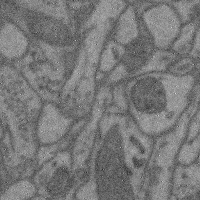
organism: Mouse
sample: Cerebral cortex